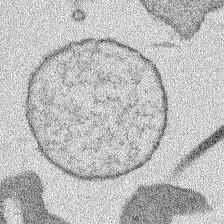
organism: Human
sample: HeLa cells